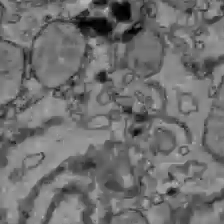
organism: C57BL Mouse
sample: Liver